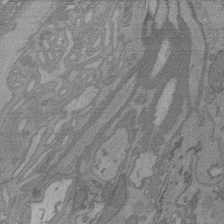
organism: C. elegans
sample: AFD neurons C. elegans